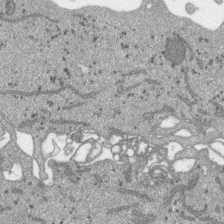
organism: Human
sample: Lung epithelial cells infected with SARS-CoV-2